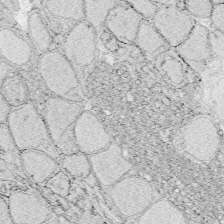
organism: Zebrafish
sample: Whole-Brain